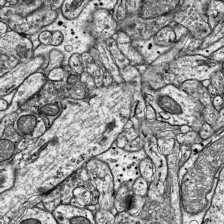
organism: Mouse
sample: Visual Cortex